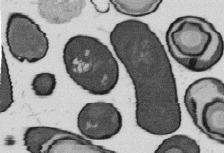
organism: B. subtilis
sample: Bacterial spore